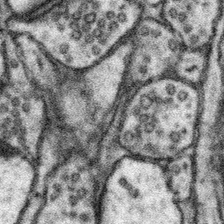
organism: Mouse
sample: Somatosensory cortex neuropil